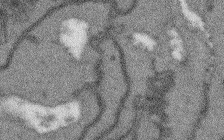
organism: Arabidopsis thaliana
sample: Root tip